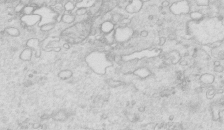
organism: Mouse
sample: Multiciliated cells